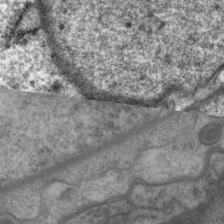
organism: P. pacificus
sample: Pharynx